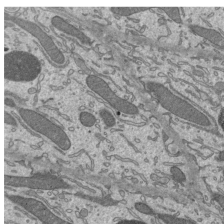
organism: Mouse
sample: Mouse epididymis efferent ductule cilia